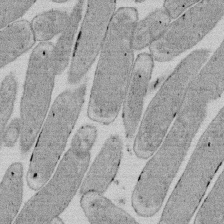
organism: E. coli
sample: Bacterial nucleoid